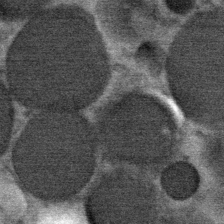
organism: Mouse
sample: Mouse Salivary gland